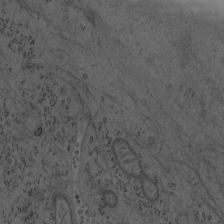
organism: Mouse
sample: OT-I killer T cells with ID8 ovarian cancer cells